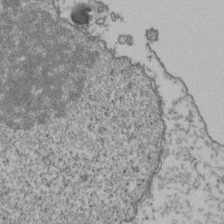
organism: Human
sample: Activated Jurkat CD4+ T cells